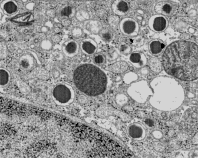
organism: C57BL Mouse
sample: Pancreatic islet